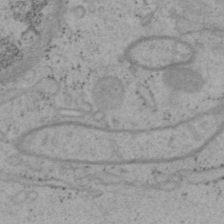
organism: Human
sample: HeLa cells